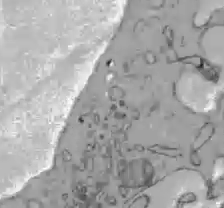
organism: C57BL Mouse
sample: Liver